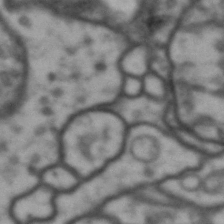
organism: Drosophila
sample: Brain